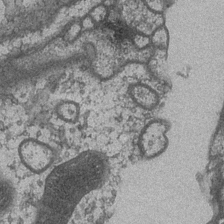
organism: Drosophila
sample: Optic medulla